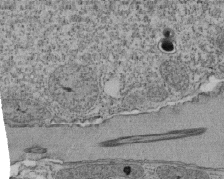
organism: Tetrahymena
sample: Cilia in tetrahymena